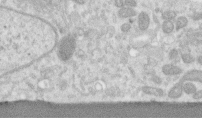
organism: Human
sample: Centriole in RPE cells